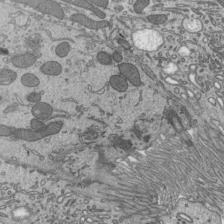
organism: Mouse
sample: Mouse epididymis efferent ductule cilia